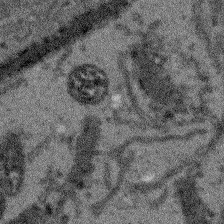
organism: Arabidopsis thaliana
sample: Root tip